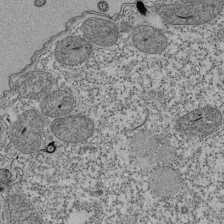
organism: Tetrahymena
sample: Cilia in tetrahymena